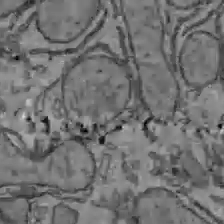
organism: C57BL Mouse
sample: Liver